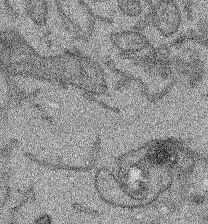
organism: Human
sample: HeLa cells